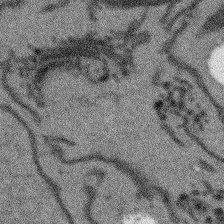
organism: Arabidopsis thaliana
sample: Root tip